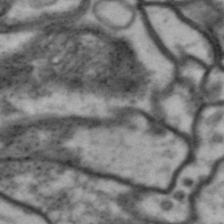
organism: Drosophila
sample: Brain